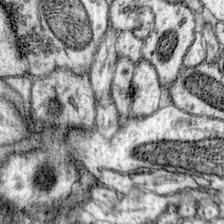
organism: Mouse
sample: Primary visual cortex